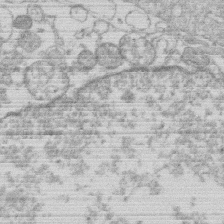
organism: Human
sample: Macrophage cells